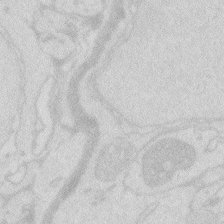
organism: Zebrafish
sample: Macrophage